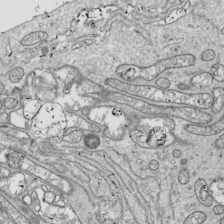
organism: Drosophila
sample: Cell division; meiosis; drosophila spermatocytes